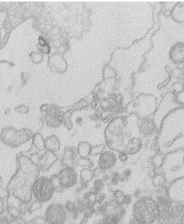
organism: Human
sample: Macrophage cells